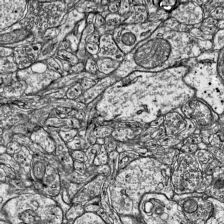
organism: Mouse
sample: Visual Cortex